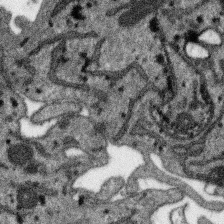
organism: Human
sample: Lung epithelial cells infected with SARS-CoV-2